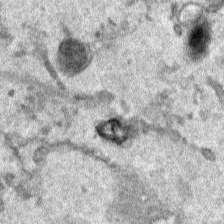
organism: Human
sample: Mitochondria in HCT116 cells